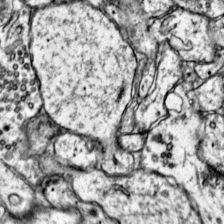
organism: Mouse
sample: Primary visual cortex